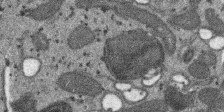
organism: Human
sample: Lung epithelial cells infected with SARS-CoV-2